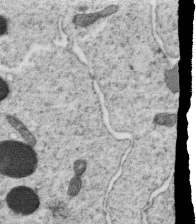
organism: C. elegans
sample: C. elegans oocyte; sperm cells